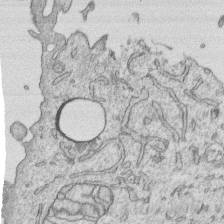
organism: Human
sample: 1205lu cells